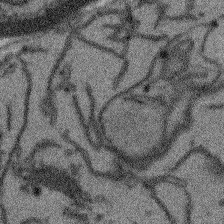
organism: Arabidopsis thaliana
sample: Root tip